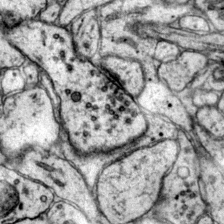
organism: Mouse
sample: Primary visual cortex